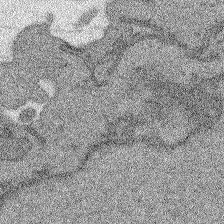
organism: Human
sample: HeLa cells